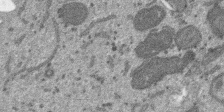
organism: Human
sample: Lung epithelial cells infected with SARS-CoV-2